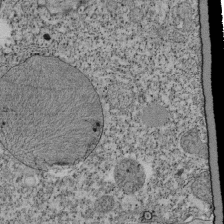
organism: Tetrahymena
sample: Cilia in tetrahymena